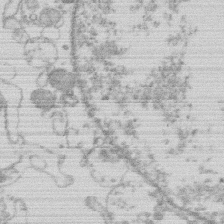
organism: Human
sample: Macrophage cells